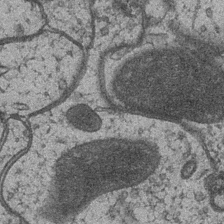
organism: Drosophila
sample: Optic medulla